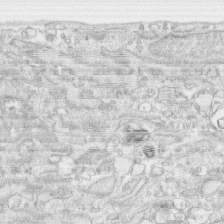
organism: Human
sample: CRL-1474